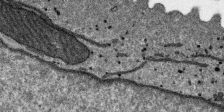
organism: Human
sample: Lung epithelial cells, uninfected (mock) control